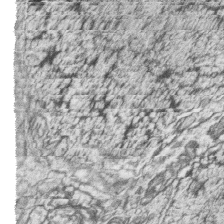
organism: Zebrafish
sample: synaptic ribbons in rod cells and cone cells